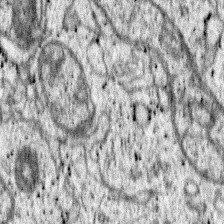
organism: Human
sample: HeLa cells